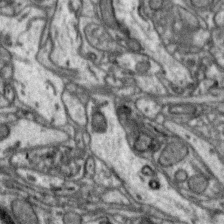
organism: Zebra finch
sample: Brain